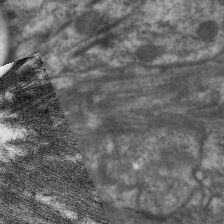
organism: C. elegans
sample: Pharynx